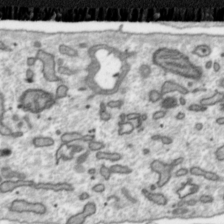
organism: Toxoplasma gondii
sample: Parasites in a vacuole inside a host cell